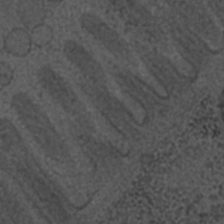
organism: C. elegans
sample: C. elegans embryo